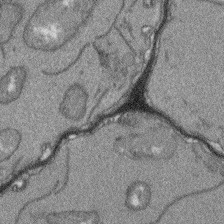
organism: Arabidopsis thaliana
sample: Root tip